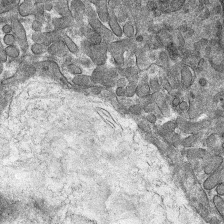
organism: Mouse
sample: Mouse hepatocytes